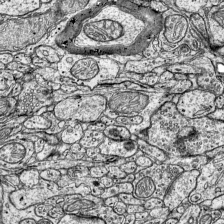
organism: Mouse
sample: Visual Cortex